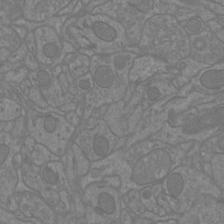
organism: Mouse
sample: Cortical neurons